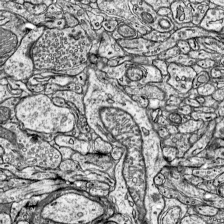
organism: Mouse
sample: Visual Cortex